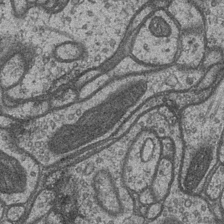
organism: Drosophila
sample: Optic medulla